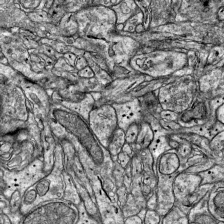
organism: Mouse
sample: Visual Cortex